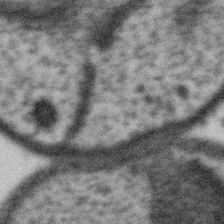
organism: Gemmata obscuriglobus